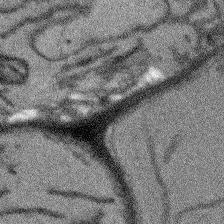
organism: Arabidopsis thaliana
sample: Root tip